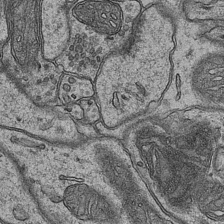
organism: Mouse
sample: CA1 Hippocampus